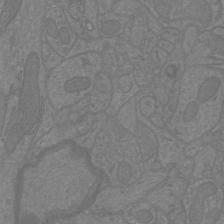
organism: Mouse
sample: Cortical neurons